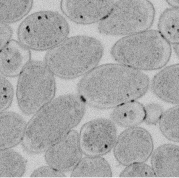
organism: E. coli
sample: Bacterial nucleoid